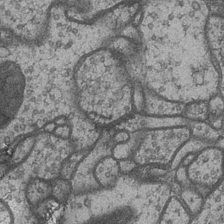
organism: Drosophila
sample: Optic medulla